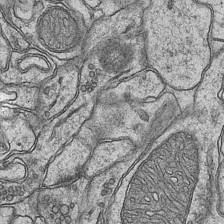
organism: Mouse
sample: CA1 Hippocampus